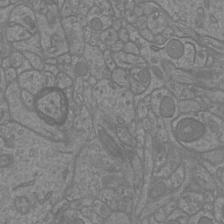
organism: Mouse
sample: Cortical neurons